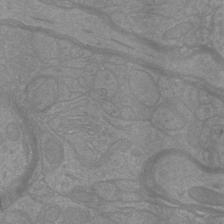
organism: Mouse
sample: Cortical neurons